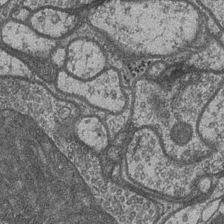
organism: Drosophila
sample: Optic medulla